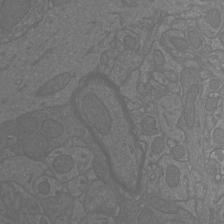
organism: Mouse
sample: Cortical neurons